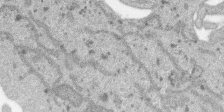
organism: Human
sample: Lung epithelial cells infected with SARS-CoV-2